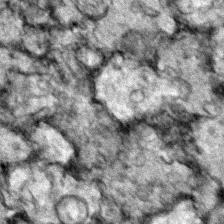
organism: Zebrafish